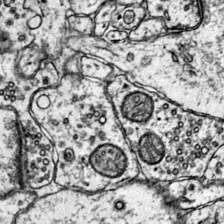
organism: Mouse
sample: Primary visual cortex